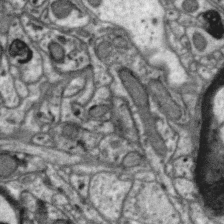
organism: Zebra finch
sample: Brain